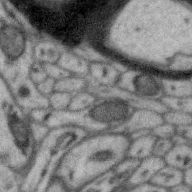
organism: Zebra finch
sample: Brain